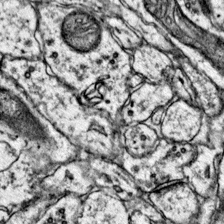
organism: Mouse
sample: Primary visual cortex